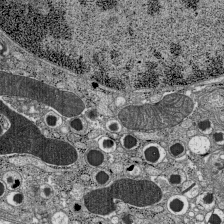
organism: C57BL Mouse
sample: Pancreatic islet